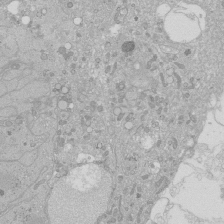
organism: Human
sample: Caco-2 cells